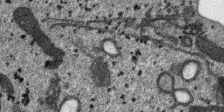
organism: Human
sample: Lung epithelial cells infected with SARS-CoV-2